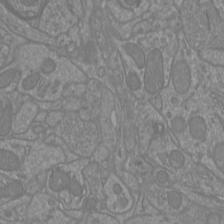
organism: Mouse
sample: Cortical neurons